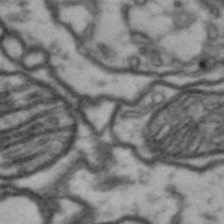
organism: Drosophila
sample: Brain